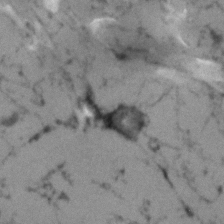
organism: Human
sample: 1205lu cells